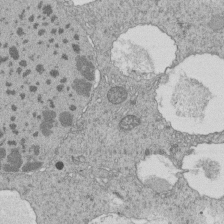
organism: Tetrahymena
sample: Cilia in tetrahymena